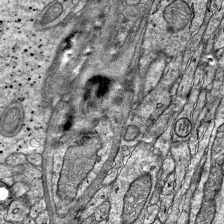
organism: Mouse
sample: Visual Cortex